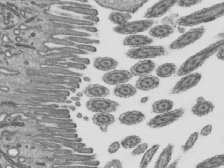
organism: Mouse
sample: Mouse epididymis efferent ductule cilia